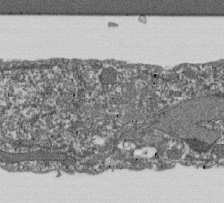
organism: Dictyostelium discoideum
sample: Dictyostelium multivesicular bodies